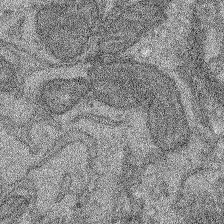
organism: Human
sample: HeLa cells